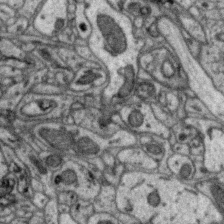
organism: Zebra finch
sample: Brain